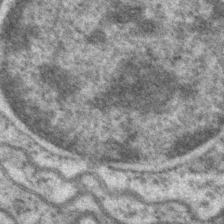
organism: P. pacificus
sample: Pharynx